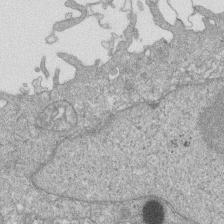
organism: Human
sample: HeLa cell HIV synapse